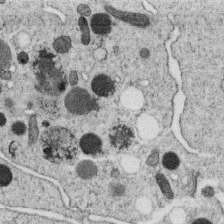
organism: C. elegans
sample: C. elegans oocyte; sperm cells